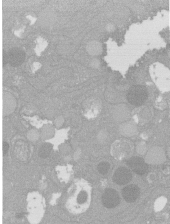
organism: C. elegans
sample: C. elegans oocyte; sperm cells